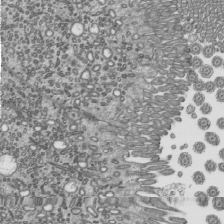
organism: Mouse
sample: Mouse epididymis efferent ductule cilia